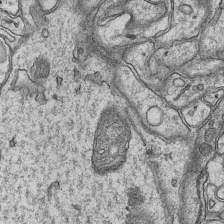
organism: Mouse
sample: CA1 Hippocampus